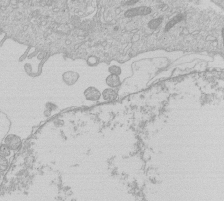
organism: Human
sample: Macrophage cells